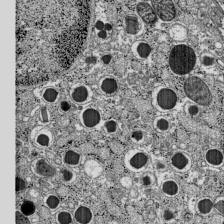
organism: C57BL Mouse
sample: Pancreatic islet